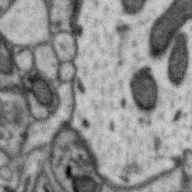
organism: Zebra finch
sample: Brain